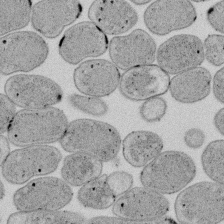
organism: E. coli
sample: Bacterial nucleoid